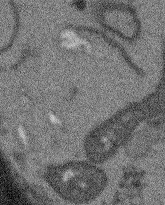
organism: Arabidopsis thaliana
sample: Root tip